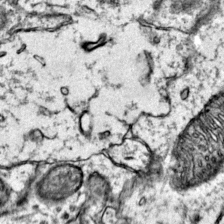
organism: Mouse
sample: Primary visual cortex